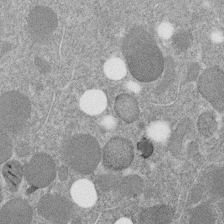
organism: C. elegans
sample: C. elegans embryo early stage